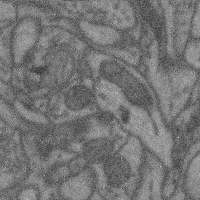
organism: Mouse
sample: Cerebral cortex